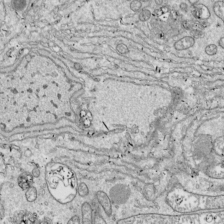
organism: Drosophila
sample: Cell division; meiosis; drosophila spermatocytes